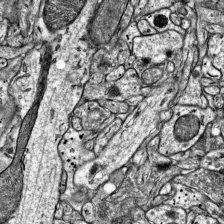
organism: Mouse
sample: Visual Cortex